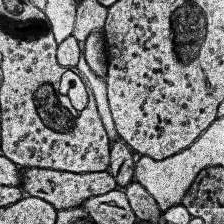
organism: Human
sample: Temporal Lobe